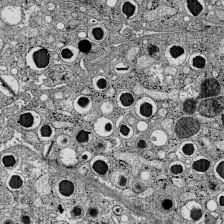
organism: C57BL Mouse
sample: Pancreatic islet